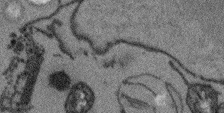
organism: Arabidopsis thaliana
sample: Root tip